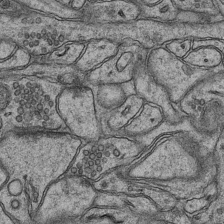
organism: Mouse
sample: CA1 Hippocampus